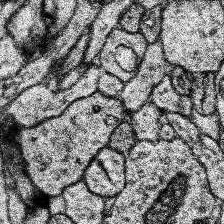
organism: Human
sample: Temporal Lobe